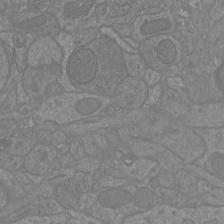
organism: Mouse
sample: Cortical neurons